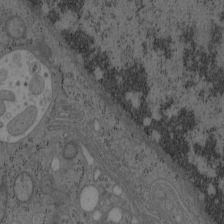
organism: Mouse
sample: OT-I killer T cells with ID8 ovarian cancer cells